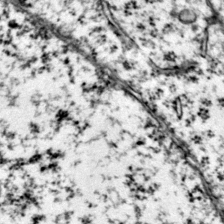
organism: Mouse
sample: Primary visual cortex